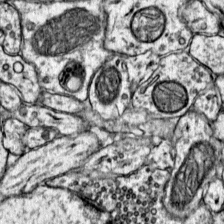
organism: Mouse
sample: Primary visual cortex